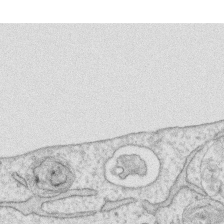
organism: Human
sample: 1205lu cells